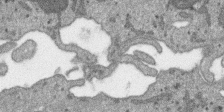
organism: Human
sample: Lung epithelial cells infected with SARS-CoV-2